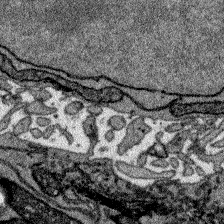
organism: Zebrafish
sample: Larval olfactory bulb